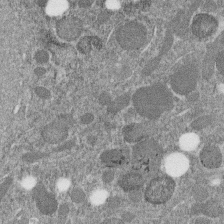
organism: C. elegans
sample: C. elegans embryo early stage